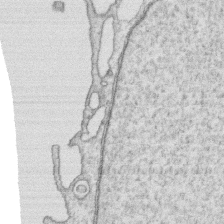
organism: Human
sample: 1205lu cells